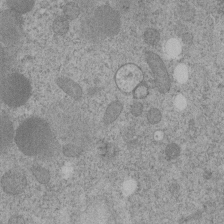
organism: C. elegans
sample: C. elegans embryo early stage